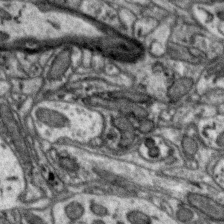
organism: Zebra finch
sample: Brain